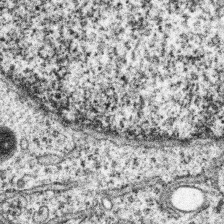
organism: Human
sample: HeLa cells